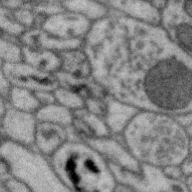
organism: Zebra finch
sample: Brain